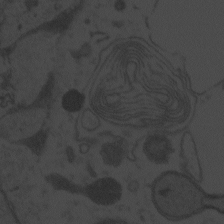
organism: Zebrafish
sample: Macrophage infected with Toxoplasma gondii